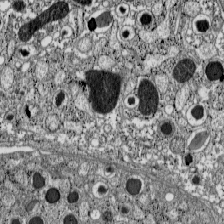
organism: C57BL Mouse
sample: Pancreatic islet